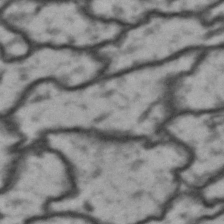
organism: Drosophila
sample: Brain